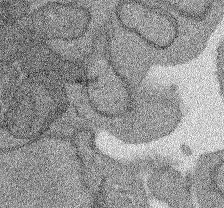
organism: Human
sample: HeLa cells